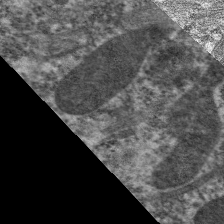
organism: C. elegans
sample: Pharynx